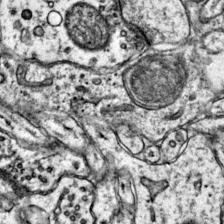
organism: Mouse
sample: Primary visual cortex